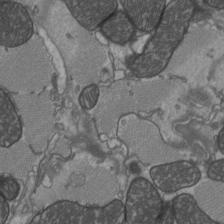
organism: C57BL Mouse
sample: Heart